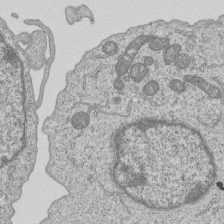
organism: Human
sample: MDA-MB-231 cells